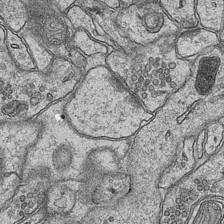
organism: Mouse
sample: CA1 Hippocampus